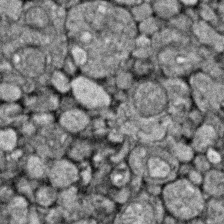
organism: Zebrafish